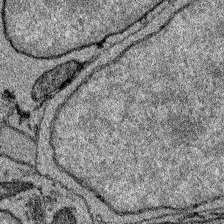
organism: Zebrafish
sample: Larval olfactory bulb